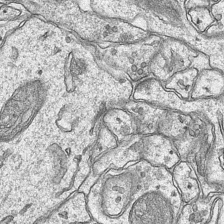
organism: Mouse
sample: CA1 Hippocampus